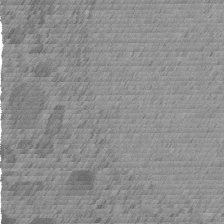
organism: C. elegans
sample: C. elegans embryo early stage